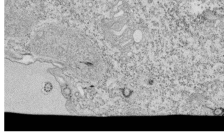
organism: Tetrahymena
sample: Cilia in tetrahymena